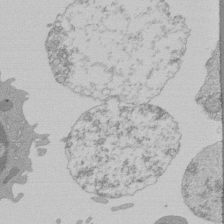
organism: Mouse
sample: Activated Pmel transgenic CD8+ T Cells